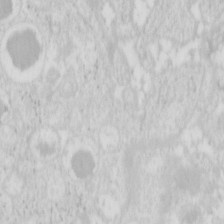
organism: Mouse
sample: Pancreas